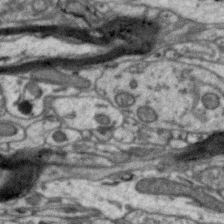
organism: Zebra finch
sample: Brain